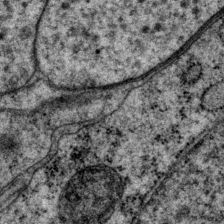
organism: P. pacificus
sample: Pharynx